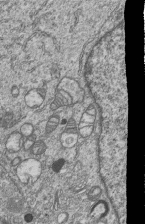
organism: Human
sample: MDA-MB-231 cells